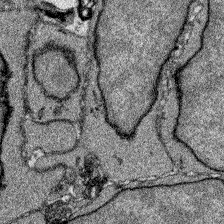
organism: Zebrafish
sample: Larval olfactory bulb